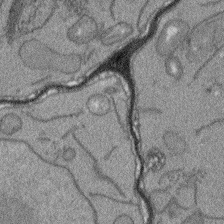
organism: Arabidopsis thaliana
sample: Root tip